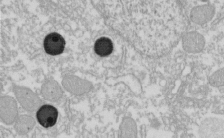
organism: Xenopus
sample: Cilia; centrioles in frog embryo cells